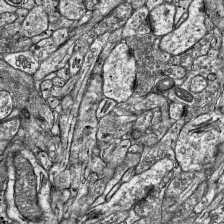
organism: Mouse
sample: Visual Cortex